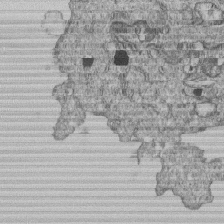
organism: Human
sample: MDA-MB-231 cells